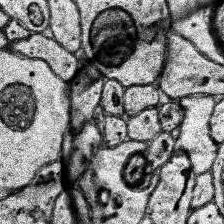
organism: Human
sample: Temporal Lobe